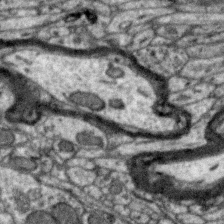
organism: Zebra finch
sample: Brain